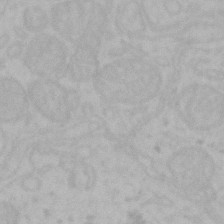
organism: Mouse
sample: Choroid plexus